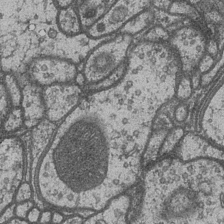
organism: Drosophila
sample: Optic medulla